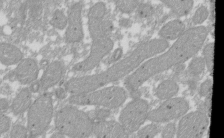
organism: Xenopus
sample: Cilia; centrioles in frog embryo cells